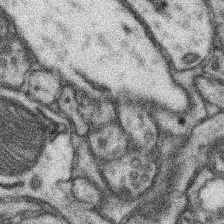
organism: Mouse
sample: Somatosensory cortex neuropil